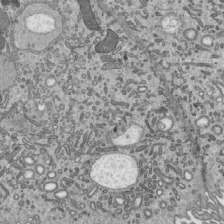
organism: Mouse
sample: Mouse epididymis efferent ductule cilia